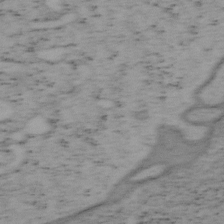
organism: Mouse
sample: OT-I killer T cells with ID8 ovarian cancer cells